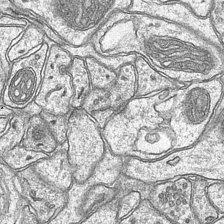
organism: Mouse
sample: CA1 Hippocampus